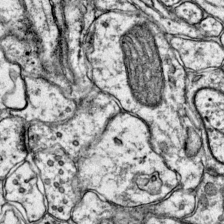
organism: Mouse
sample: Primary visual cortex